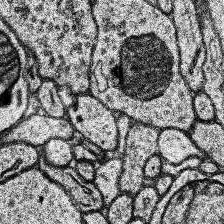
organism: Human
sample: Temporal Lobe